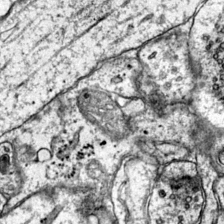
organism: Mouse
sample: Primary visual cortex